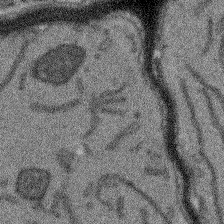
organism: Arabidopsis thaliana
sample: Root tip